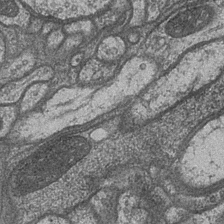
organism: Drosophila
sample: Optic medulla